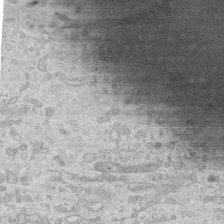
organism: Mouse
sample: Centriole in ependymal cells